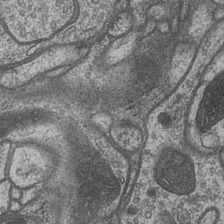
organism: Drosophila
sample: Optic medulla